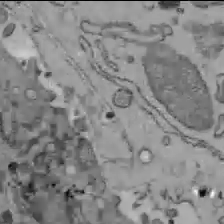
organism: C57BL Mouse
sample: Liver